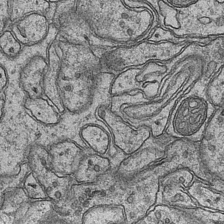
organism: Mouse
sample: CA1 Hippocampus